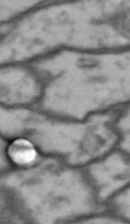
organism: Drosophila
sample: Brain